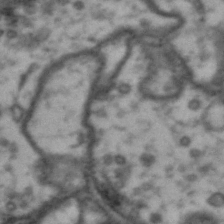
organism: Drosophila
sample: Brain